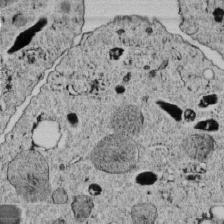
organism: C. elegans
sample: C. elegans embryo early stage